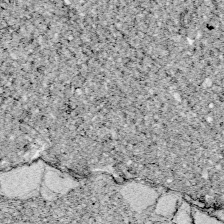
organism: Zebrafish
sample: Whole-Brain